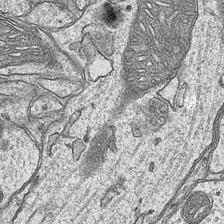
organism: Mouse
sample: CA1 Hippocampus